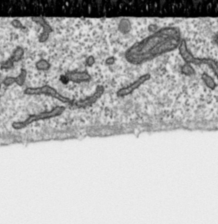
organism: Toxoplasma gondii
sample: Parasites in a vacuole inside a host cell